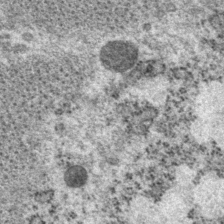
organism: P. pacificus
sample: Pharynx